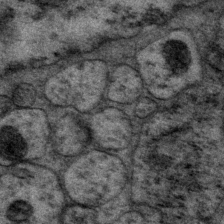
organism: P. pacificus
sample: Pharynx